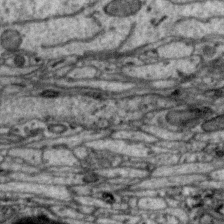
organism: Zebra finch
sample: Brain